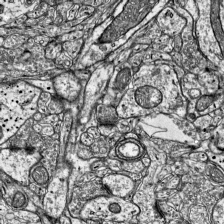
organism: Mouse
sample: Visual Cortex